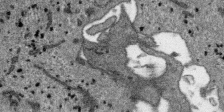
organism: Human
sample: Lung epithelial cells, uninfected (mock) control